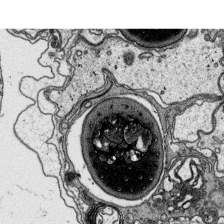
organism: Platynereis dumerilii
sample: Parapodia